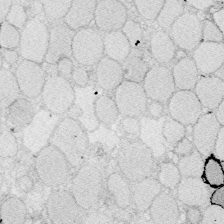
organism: Zebrafish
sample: Whole-Brain